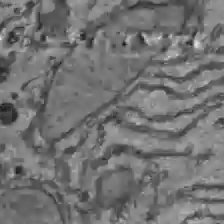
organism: C57BL Mouse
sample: Liver